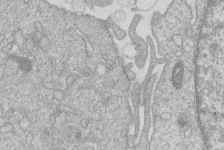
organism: Human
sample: Macrophage cells